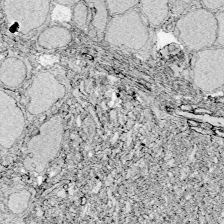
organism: Zebrafish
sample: Whole-Brain